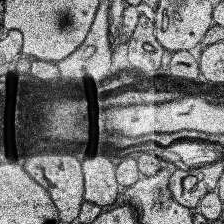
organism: Human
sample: Temporal Lobe